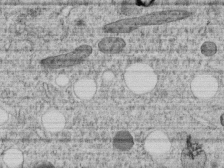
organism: C. elegans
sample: C. elegans embryo early stage